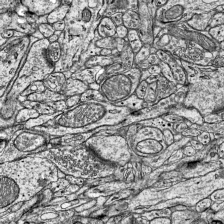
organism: Mouse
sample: Visual Cortex